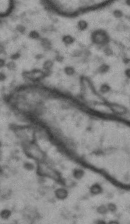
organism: Drosophila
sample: Brain